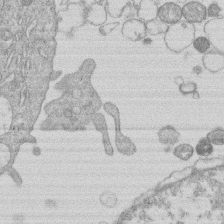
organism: Human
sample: Macrophage cells